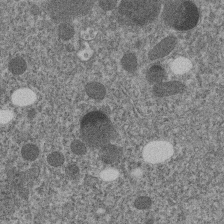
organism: C. elegans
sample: C. elegans embryo early stage